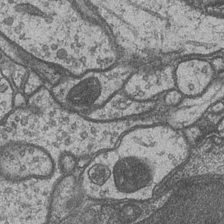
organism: Drosophila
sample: Optic medulla